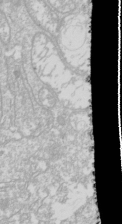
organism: Drosophila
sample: Cell division; meiosis; drosophila spermatocytes